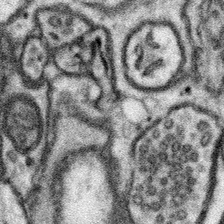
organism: Mouse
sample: Somatosensory cortex neuropil